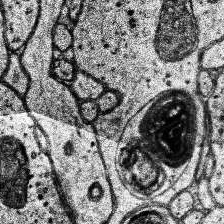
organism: Human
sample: Temporal Lobe